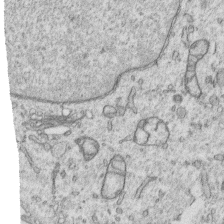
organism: Human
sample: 1205lu cells